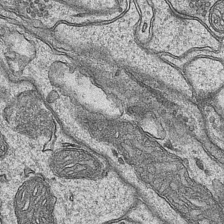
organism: Mouse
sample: CA1 Hippocampus